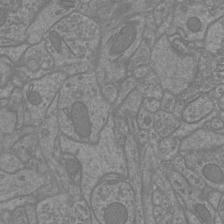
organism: Mouse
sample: Cortical neurons